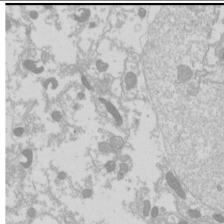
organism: Drosophila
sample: Cell division; meiosis; drosophila spermatocytes